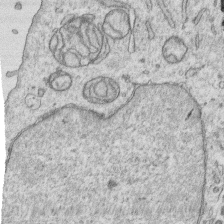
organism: Human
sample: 1205lu cells